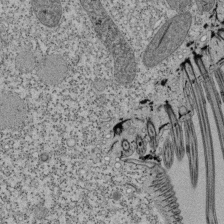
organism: Tetrahymena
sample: Cilia in tetrahymena